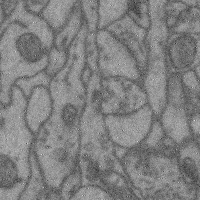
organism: Mouse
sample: Cerebral cortex